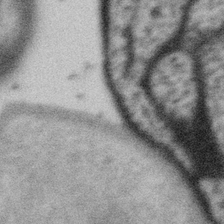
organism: Gemmata obscuriglobus